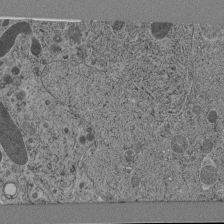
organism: C. elegans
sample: C. elegans pharynx